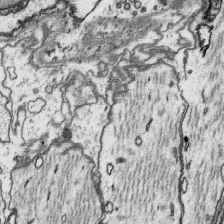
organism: Platynereis dumerilii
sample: Parapodia